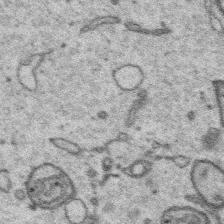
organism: Platynereis dumerilii